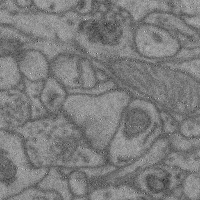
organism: Mouse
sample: Cerebral cortex